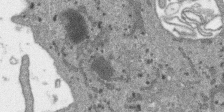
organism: Human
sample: Lung epithelial cells infected with SARS-CoV-2